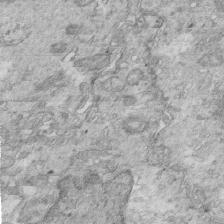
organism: Mouse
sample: Multiciliated cells